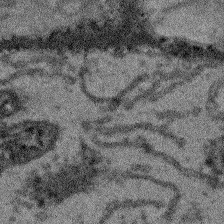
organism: Arabidopsis thaliana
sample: Root tip